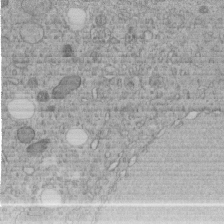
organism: C. elegans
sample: C. elegans embryo early stage